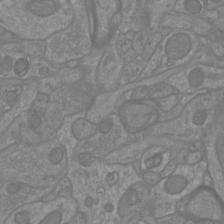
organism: Mouse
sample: Cortical neurons